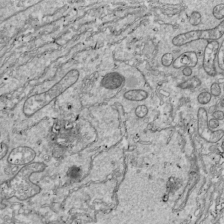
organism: Drosophila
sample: Cell division; meiosis; drosophila spermatocytes